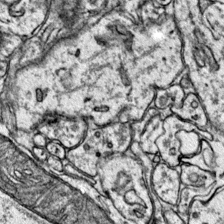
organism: Mouse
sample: Primary visual cortex